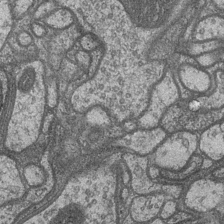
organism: Drosophila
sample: Optic medulla